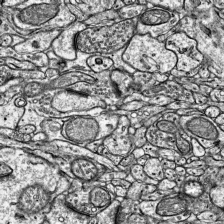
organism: Mouse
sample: Visual Cortex